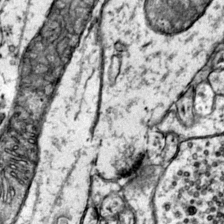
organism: Mouse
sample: Primary visual cortex